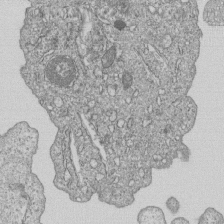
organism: Human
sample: MDA-MB-231 cells